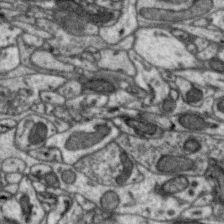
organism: Zebra finch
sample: Brain